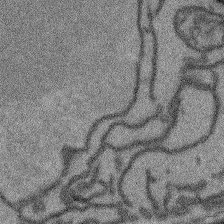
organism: Arabidopsis thaliana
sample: Root tip